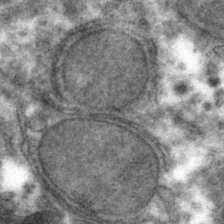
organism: Mouse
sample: Mouse hepatocytes